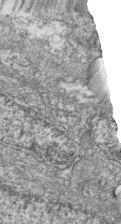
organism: Zebrafish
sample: Cilia; retinal pigment epithelium